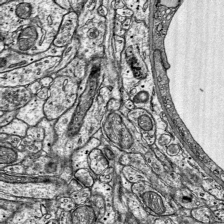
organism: Mouse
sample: Visual Cortex